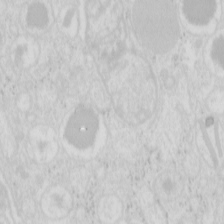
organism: Mouse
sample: Pancreas